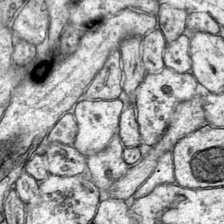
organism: Mouse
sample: Primary visual cortex